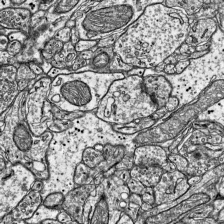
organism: Mouse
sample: Visual Cortex